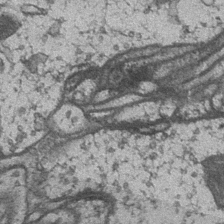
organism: Drosophila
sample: Optic medulla